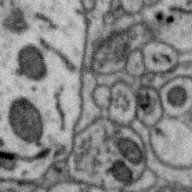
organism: Zebra finch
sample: Brain